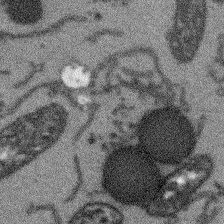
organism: Arabidopsis thaliana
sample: Root tip